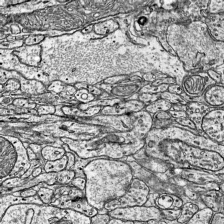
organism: Mouse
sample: Visual Cortex